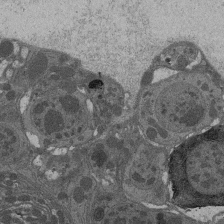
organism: Drosophila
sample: Antenna